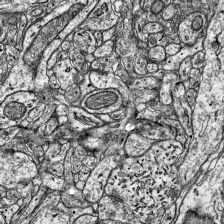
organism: Mouse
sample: Visual Cortex